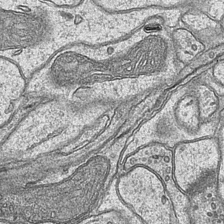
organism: Mouse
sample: CA1 Hippocampus